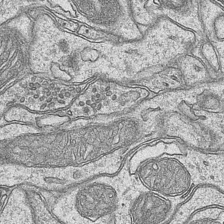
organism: Mouse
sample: CA1 Hippocampus